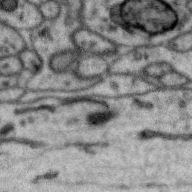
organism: Zebra finch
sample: Brain